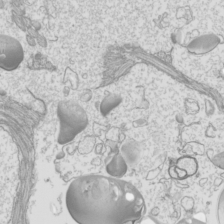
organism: Mouse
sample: Cilia; mouse epididymis